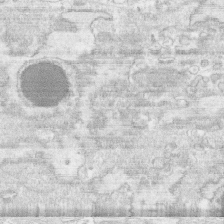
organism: Human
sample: CRL-1474